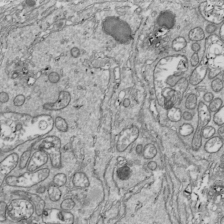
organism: Drosophila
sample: Cell division; meiosis; drosophila spermatocytes